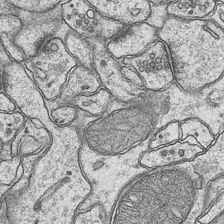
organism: Mouse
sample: CA1 Hippocampus